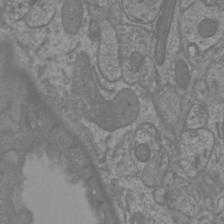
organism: Mouse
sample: Cortical neurons